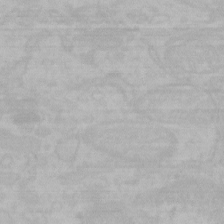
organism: Mouse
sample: Choroid plexus